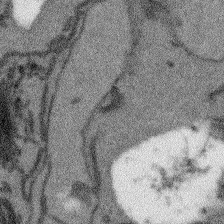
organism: Arabidopsis thaliana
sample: Root tip